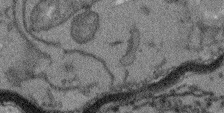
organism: Arabidopsis thaliana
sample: Root tip